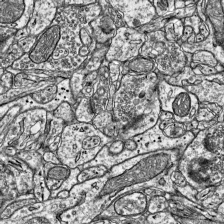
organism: Mouse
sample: Visual Cortex